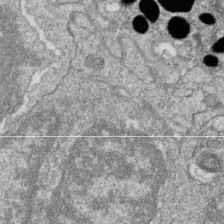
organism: Zebrafish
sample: Cilia; retinal pigment epithelium